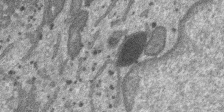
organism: Human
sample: Lung epithelial cells infected with SARS-CoV-2